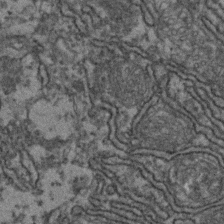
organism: Zebrafish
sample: Zebrafish embryo